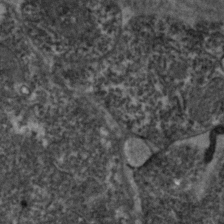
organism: Zebrafish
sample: Zebrafish embryo